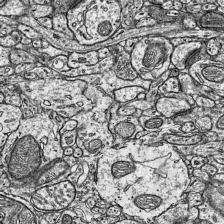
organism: Mouse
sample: Visual Cortex